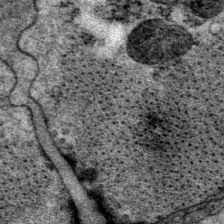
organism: P. pacificus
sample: Pharynx